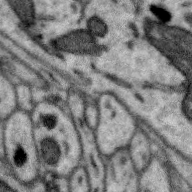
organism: Zebra finch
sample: Brain